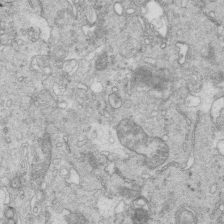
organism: Mouse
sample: Multiciliated cells